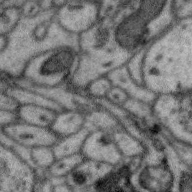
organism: Zebra finch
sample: Brain